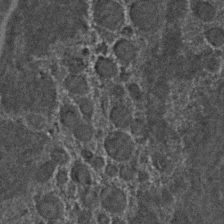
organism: C. elegans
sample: C. elegans embryo